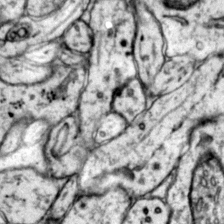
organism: Mouse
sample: Primary visual cortex